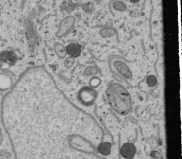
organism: Human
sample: Mitochondria in U2OS cells